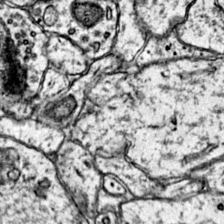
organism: Mouse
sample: Primary visual cortex